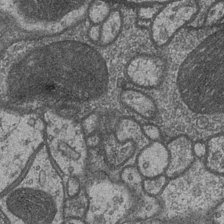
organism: Drosophila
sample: Optic medulla